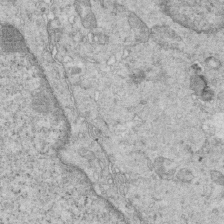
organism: Mouse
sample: Multiciliated cells